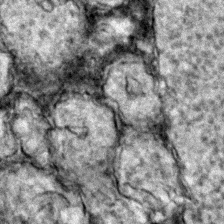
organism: Zebrafish